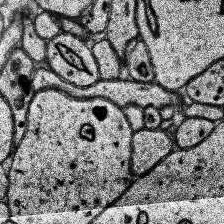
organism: Human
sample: Temporal Lobe